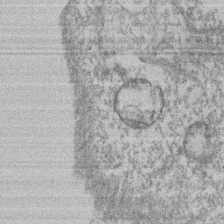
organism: Mouse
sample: T cell stromal cell synapse